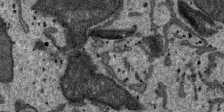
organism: Human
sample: Lung epithelial cells, uninfected (mock) control